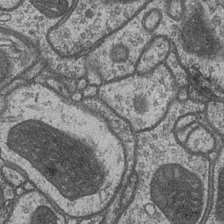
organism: Drosophila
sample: Optic medulla